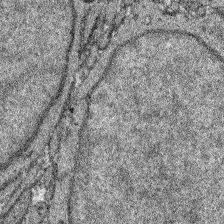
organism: Zebrafish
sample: Larval olfactory bulb